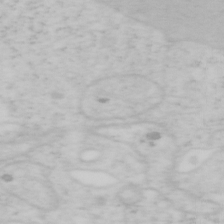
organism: Mouse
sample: OT-I killer T cells with ID8 ovarian cancer cells